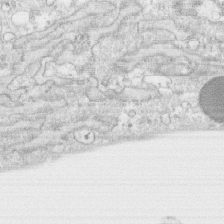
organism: Human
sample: CRL-1474